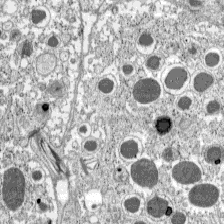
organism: C57BL Mouse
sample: Pancreatic islet